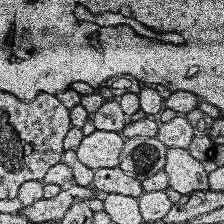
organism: Human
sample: Temporal Lobe